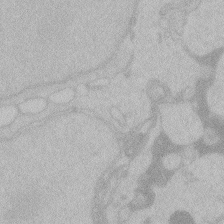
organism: Zebrafish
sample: Macrophage infected with Toxoplasma gondii